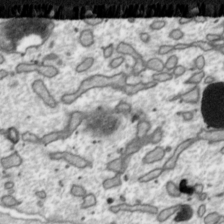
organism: Toxoplasma gondii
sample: Parasites in a vacuole inside a host cell